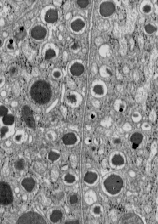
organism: C57BL Mouse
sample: Pancreatic islet